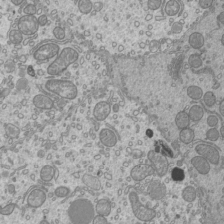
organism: Mouse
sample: Cilia; mouse epididymis